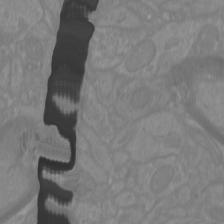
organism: Mouse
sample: Cortical neurons